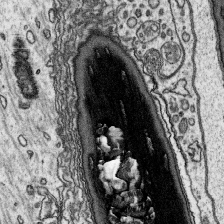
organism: Platynereis dumerilii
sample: Parapodia